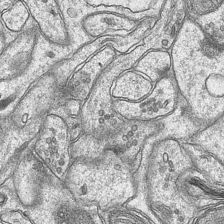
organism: Mouse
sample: CA1 Hippocampus